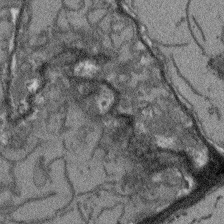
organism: Arabidopsis thaliana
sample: Root tip